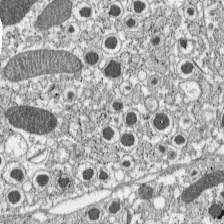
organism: C57BL Mouse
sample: Pancreatic islet